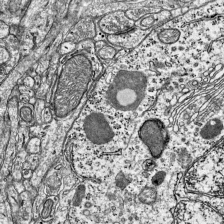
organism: Mouse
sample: Visual Cortex